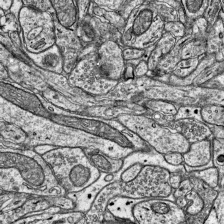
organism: Mouse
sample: Visual Cortex